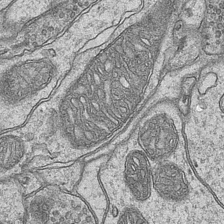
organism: Mouse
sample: CA1 Hippocampus